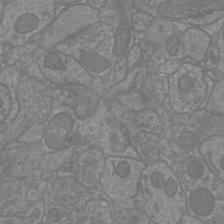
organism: Mouse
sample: Cortical neurons